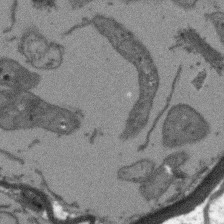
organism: Arabidopsis thaliana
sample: Root tip